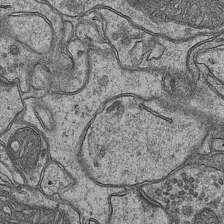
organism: Mouse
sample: CA1 Hippocampus